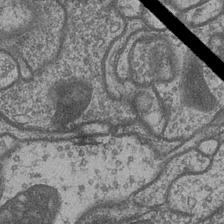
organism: Drosophila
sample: Optic medulla